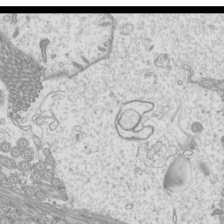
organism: Mouse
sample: Cilia; mouse epididymis